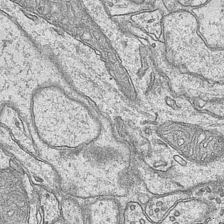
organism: Mouse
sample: CA1 Hippocampus